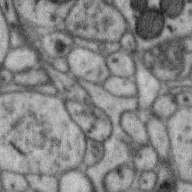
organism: Zebra finch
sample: Brain